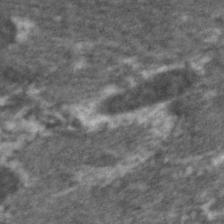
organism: C. elegans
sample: Pharynx